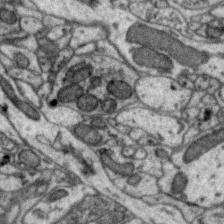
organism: Zebra finch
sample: Brain